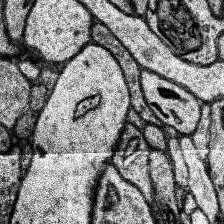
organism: Human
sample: Temporal Lobe